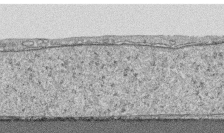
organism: Human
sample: CRL-1474